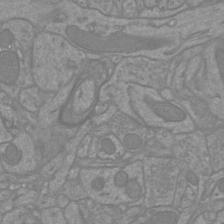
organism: Mouse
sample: Cortical neurons